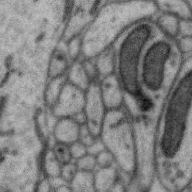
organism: Zebra finch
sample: Brain